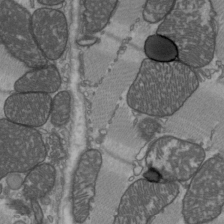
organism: C57BL Mouse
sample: Heart